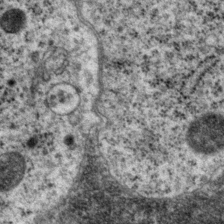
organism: P. pacificus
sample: Pharynx